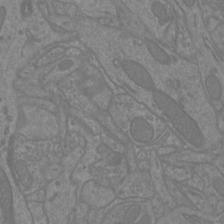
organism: Mouse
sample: Cortical neurons